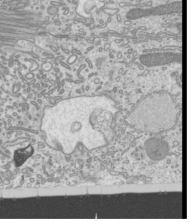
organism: Mouse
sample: Cilia; mouse epididymis